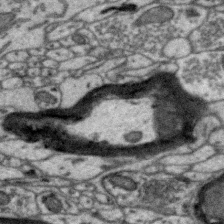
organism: Zebra finch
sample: Brain